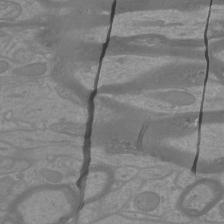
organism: Mouse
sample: Cortical neurons